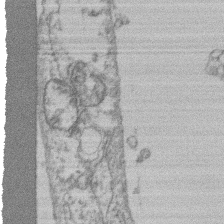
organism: Mouse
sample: T cell stromal cell synapse